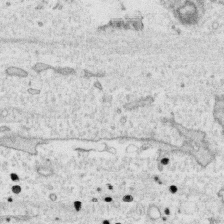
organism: Human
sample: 1205lu cells